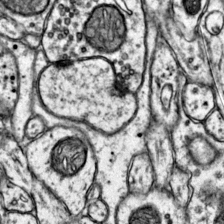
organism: Mouse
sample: Primary visual cortex